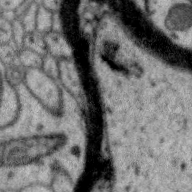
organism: Zebra finch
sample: Brain